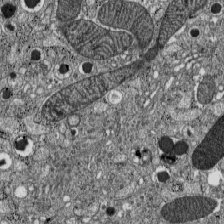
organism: C57BL Mouse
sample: Pancreatic islet